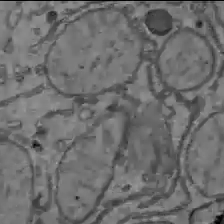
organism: C57BL Mouse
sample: Liver